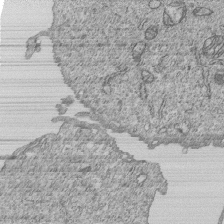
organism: Human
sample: MDA-MB-231 cells